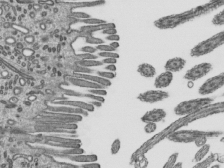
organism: Mouse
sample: Mouse epididymis efferent ductule cilia